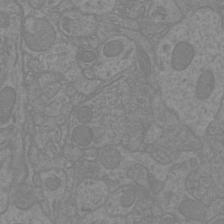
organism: Mouse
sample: Cortical neurons